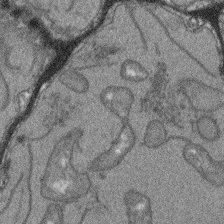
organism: Arabidopsis thaliana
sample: Root tip